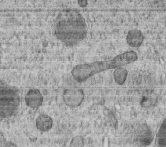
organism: C. elegans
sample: C. elegans embryo early stage